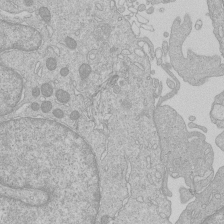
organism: Human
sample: Macrophage cells